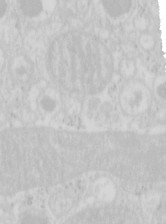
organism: Mouse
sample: Pancreas